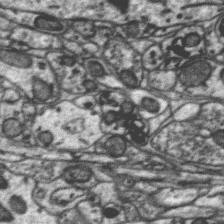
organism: Zebra finch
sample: Brain